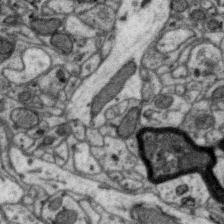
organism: Zebra finch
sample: Brain